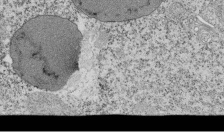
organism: Tetrahymena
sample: Cilia in tetrahymena